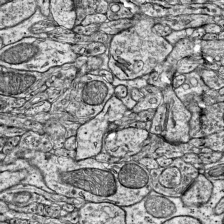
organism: Mouse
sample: Visual Cortex